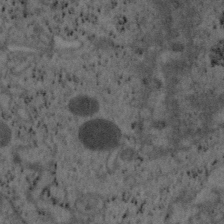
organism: Human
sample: HeLa cells